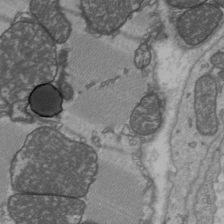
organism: C57BL Mouse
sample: Heart